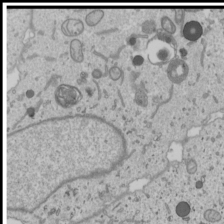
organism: Human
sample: Mitochondria in U2OS cells